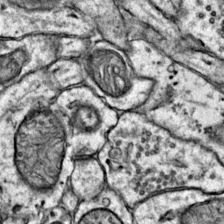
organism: Mouse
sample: Primary visual cortex